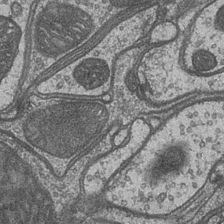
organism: Drosophila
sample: Optic medulla